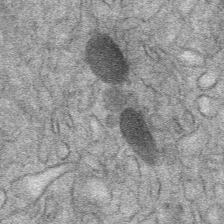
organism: Mouse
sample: Mouse Salivary gland